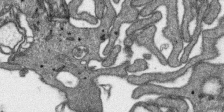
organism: Human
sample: Lung epithelial cells, uninfected (mock) control